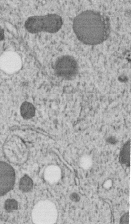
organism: C. elegans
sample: C. elegans embryo early stage